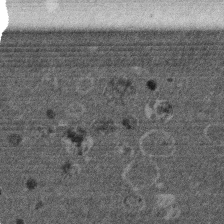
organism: Mouse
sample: Dividing mouse embryo 1 cell stage